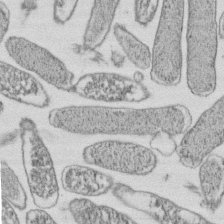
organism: E. coli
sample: Bacterial nucleoid